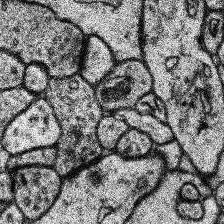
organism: Human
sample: Temporal Lobe